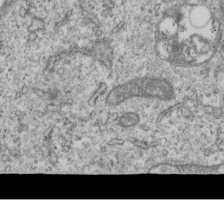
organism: Human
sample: MDA-MB-231 cells